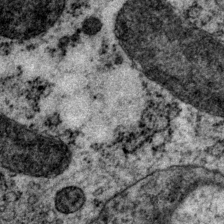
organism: P. pacificus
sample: Pharynx